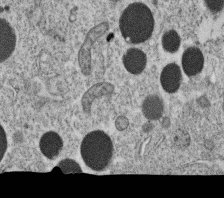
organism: C. elegans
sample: C. elegans oocyte; sperm cells